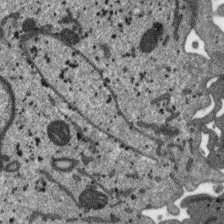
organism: Human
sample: Lung epithelial cells infected with SARS-CoV-2